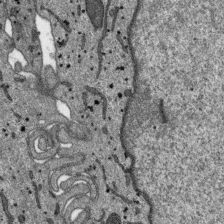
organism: Human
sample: Lung epithelial cells, uninfected (mock) control